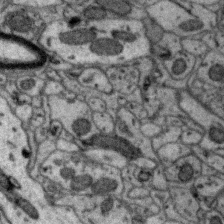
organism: Zebra finch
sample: Brain